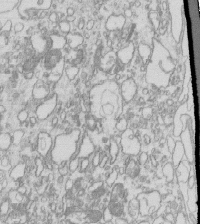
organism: Mouse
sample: Macrophages